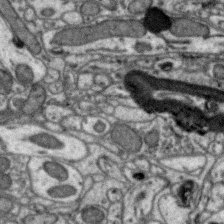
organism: Zebra finch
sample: Brain